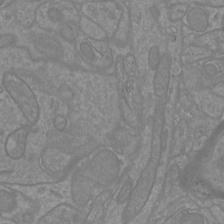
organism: Mouse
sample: Cortical neurons